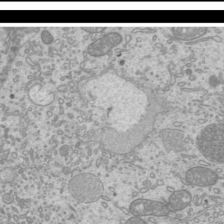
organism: Mouse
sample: Cilia; mouse epididymis